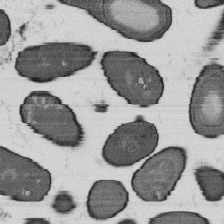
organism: B. subtilis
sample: Bacterial spore